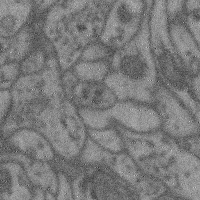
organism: Mouse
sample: Cerebral cortex